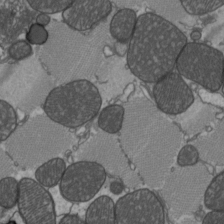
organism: C57BL Mouse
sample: Heart